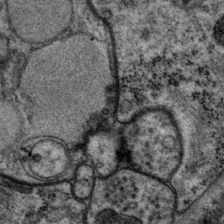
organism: P. pacificus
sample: Pharynx